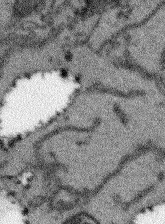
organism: Arabidopsis thaliana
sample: Root tip